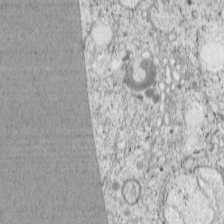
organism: African green monkey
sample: COS-7 cells